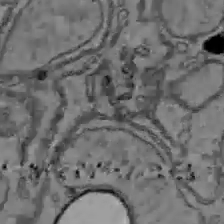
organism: C57BL Mouse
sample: Liver